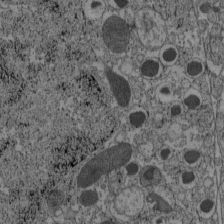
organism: C57BL Mouse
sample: Pancreatic islet